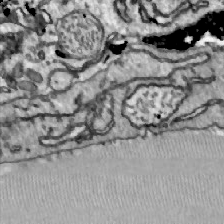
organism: Zebrafish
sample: Actinotrichia fibers